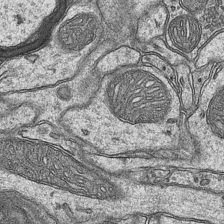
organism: Mouse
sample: CA1 Hippocampus